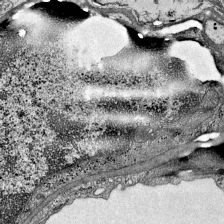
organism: Mouse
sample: Visual Cortex